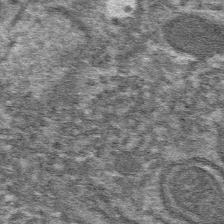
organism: Mouse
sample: Mouse hepatocytes